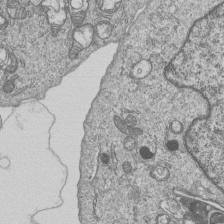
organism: Human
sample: MDA-MB-231 cells